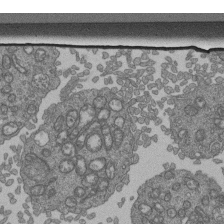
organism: Human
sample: Retinal organoid Rod and Cone cells